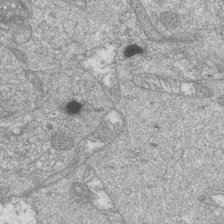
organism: Human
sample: HeLa cell HIV synapse